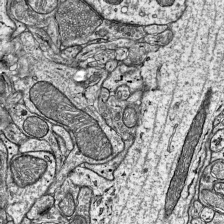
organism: Mouse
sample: Visual Cortex